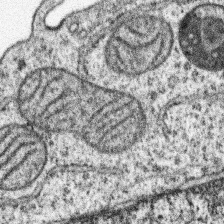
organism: Human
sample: HeLa cells